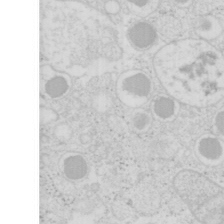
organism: Mouse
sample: Pancreas